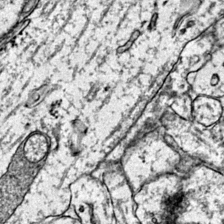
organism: Mouse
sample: Primary visual cortex